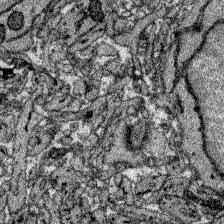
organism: Zebrafish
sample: Larval olfactory bulb